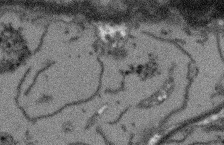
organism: Arabidopsis thaliana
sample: Root tip